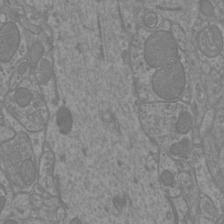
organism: Mouse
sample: Cortical neurons